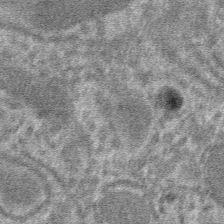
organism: Mouse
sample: Mouse hepatocytes